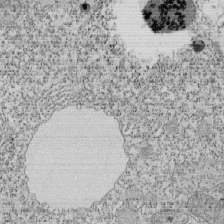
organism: Tetrahymena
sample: Cilia in tetrahymena